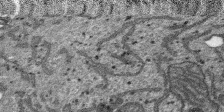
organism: Human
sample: Lung epithelial cells infected with SARS-CoV-2